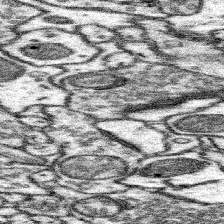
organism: Mouse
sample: Somatosensory cortex neuropil